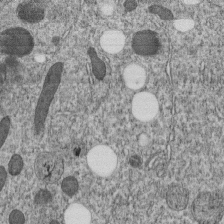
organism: C. elegans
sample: C. elegans embryo early stage